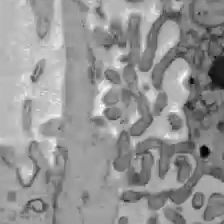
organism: C57BL Mouse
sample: Liver